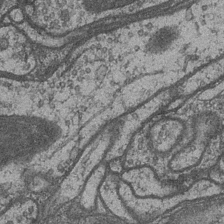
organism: Drosophila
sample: Optic medulla